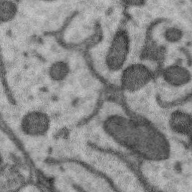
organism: Zebra finch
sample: Brain